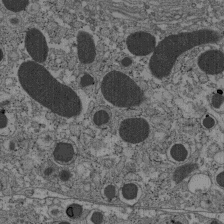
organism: C57BL Mouse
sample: Pancreatic islet